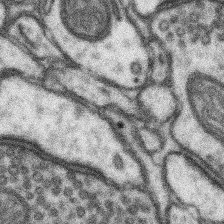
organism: Mouse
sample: Somatosensory cortex neuropil